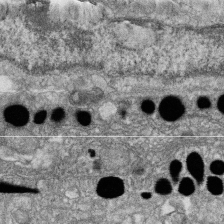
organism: Zebrafish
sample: Cilia; retinal pigment epithelium